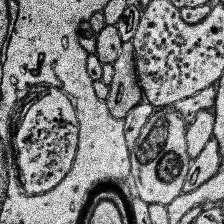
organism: Human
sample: Temporal Lobe